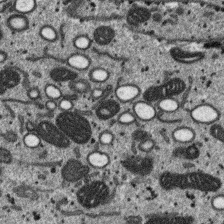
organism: Human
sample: Lung epithelial cells infected with SARS-CoV-2